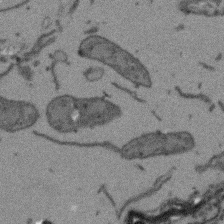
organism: Arabidopsis thaliana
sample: Root tip